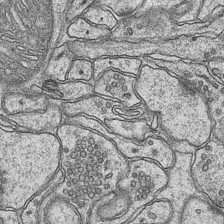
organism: Mouse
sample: CA1 Hippocampus